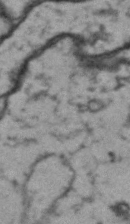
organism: Drosophila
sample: Brain